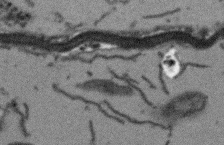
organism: Arabidopsis thaliana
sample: Root tip